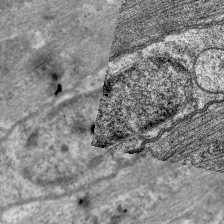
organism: C. elegans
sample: Pharynx